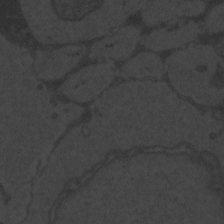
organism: Zebrafish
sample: Macrophage infected with Toxoplasma gondii